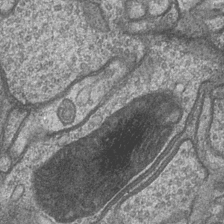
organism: Drosophila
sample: Optic medulla